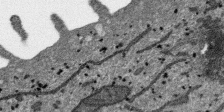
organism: Human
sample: Lung epithelial cells, uninfected (mock) control